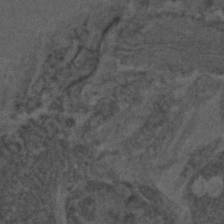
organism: C. elegans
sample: C. elegans embryo